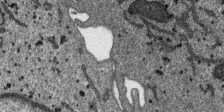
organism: Human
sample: Lung epithelial cells infected with SARS-CoV-2